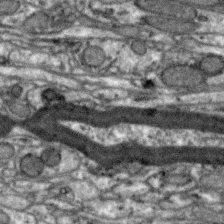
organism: Zebra finch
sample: Brain